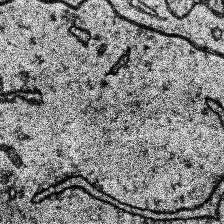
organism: Human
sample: Temporal Lobe